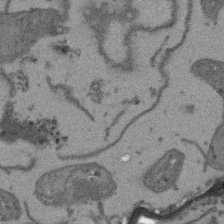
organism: Arabidopsis thaliana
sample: Root tip